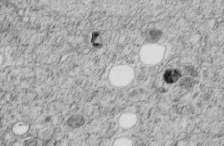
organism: C. elegans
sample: C. elegans embryo early stage